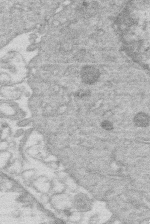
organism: Human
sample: Macrophage cells